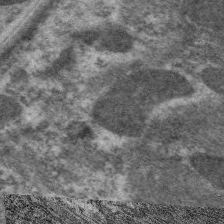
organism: C. elegans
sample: Pharynx